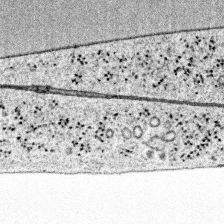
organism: Human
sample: HeLa cells